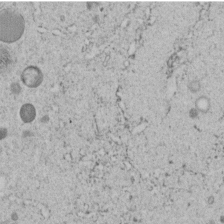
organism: C. elegans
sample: C. elegans embryo early stage